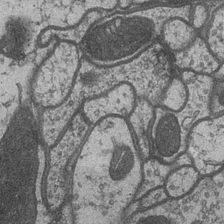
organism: Drosophila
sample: Optic medulla